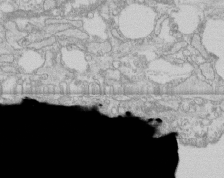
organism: Human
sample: CRL-1474